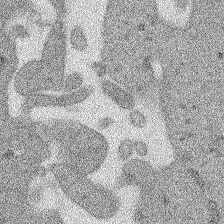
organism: Human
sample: HeLa cells